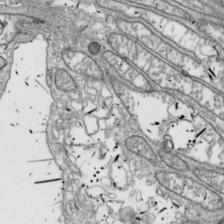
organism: Drosophila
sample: Cell division; meiosis; drosophila spermatocytes